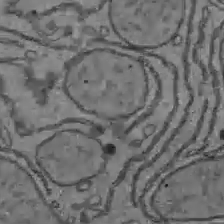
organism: C57BL Mouse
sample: Liver